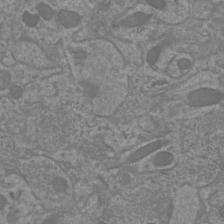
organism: Mouse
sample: Cortical neurons